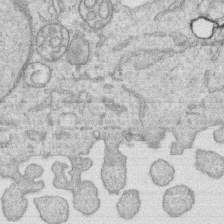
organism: Human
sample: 1205lu cells